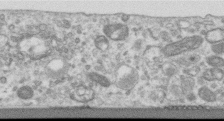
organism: Human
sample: Centriole in RPE cells